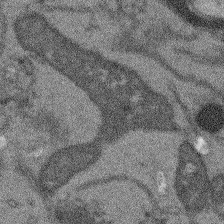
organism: Arabidopsis thaliana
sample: Root tip